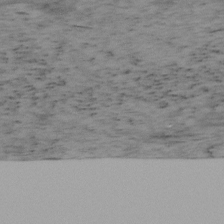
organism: Mouse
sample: OT-I killer T cells with ID8 ovarian cancer cells